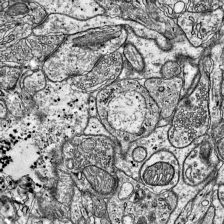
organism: Mouse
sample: Visual Cortex